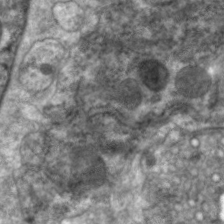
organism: C. elegans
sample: Pharynx